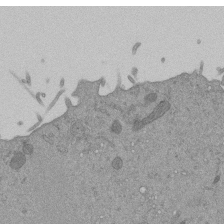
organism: Mouse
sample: ED-1 cell nuclei; centrioles